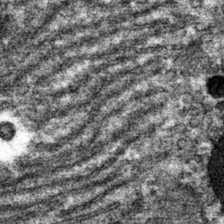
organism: Mouse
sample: Mouse hepatocytes